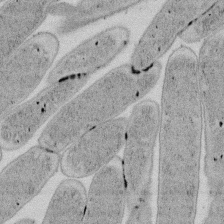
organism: E. coli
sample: Bacterial nucleoid